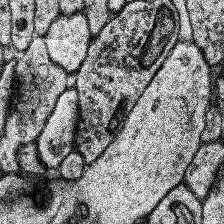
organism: Human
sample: Temporal Lobe